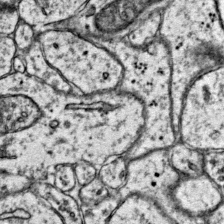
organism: Mouse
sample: Primary visual cortex